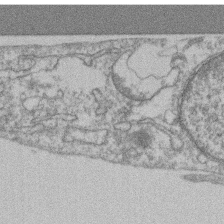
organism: Mouse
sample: T cell stromal cell synapse